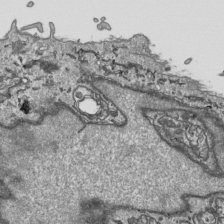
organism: Human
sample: Mitochondria in HCT116 cells